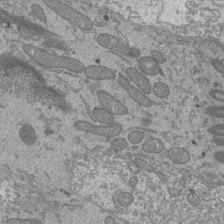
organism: Mouse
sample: Cilia; mouse epididymis